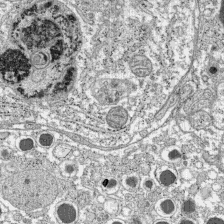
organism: C57BL Mouse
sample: Pancreatic islet